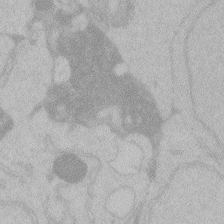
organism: Zebrafish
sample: Macrophage infected with Toxoplasma gondii